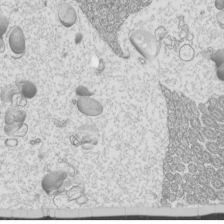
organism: Mouse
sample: Cilia; mouse epididymis